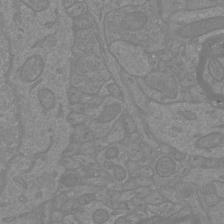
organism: Mouse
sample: Cortical neurons